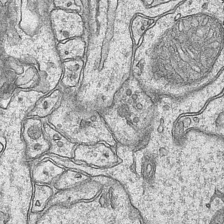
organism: Mouse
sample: CA1 Hippocampus